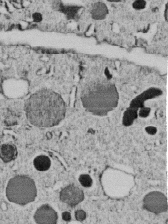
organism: C. elegans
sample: C. elegans embryo early stage